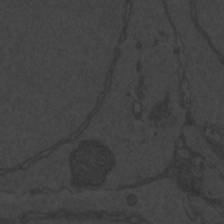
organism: Zebrafish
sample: Macrophage infected with Toxoplasma gondii